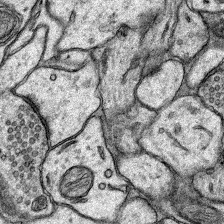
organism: Rat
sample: Hippocampus